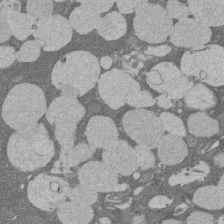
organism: Rat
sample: Salivary granule